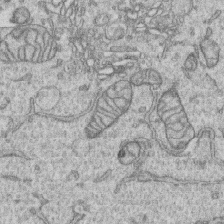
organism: Human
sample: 1205lu cells